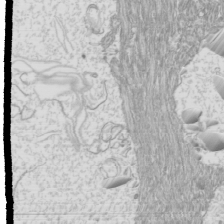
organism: Mouse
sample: Cilia; mouse epididymis